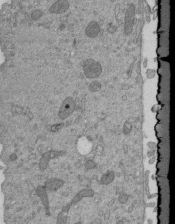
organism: Mouse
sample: ED-1 cell nuclei; centrioles